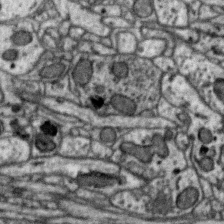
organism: Zebra finch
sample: Brain